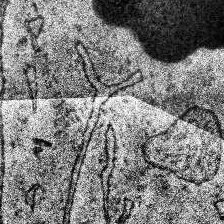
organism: Human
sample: Temporal Lobe